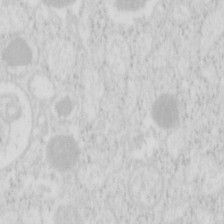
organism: Mouse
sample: Pancreas